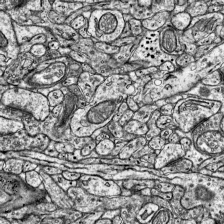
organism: Mouse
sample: Visual Cortex